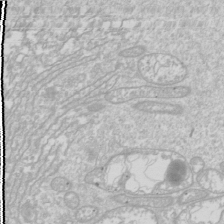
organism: Drosophila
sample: Cell division; meiosis; drosophila spermatocytes